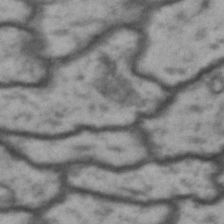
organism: Drosophila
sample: Brain